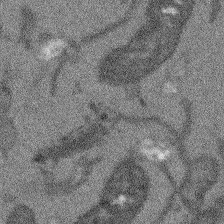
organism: Arabidopsis thaliana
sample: Root tip